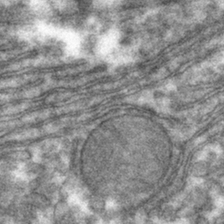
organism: Mouse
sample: Mouse hepatocytes